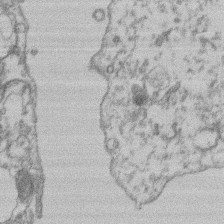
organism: Mouse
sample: T cell stromal cell synapse